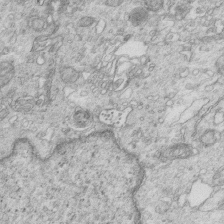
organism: Mouse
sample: Multiciliated cells